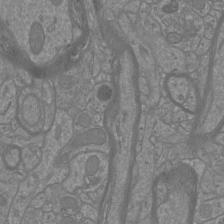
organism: Mouse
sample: Cortical neurons